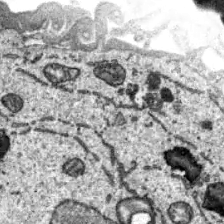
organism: Human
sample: HeLa cells